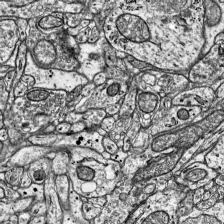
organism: Mouse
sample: Visual Cortex